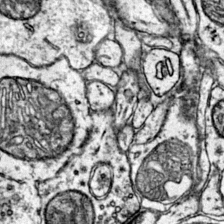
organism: Mouse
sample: Primary visual cortex